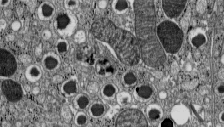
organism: C57BL Mouse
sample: Pancreatic islet